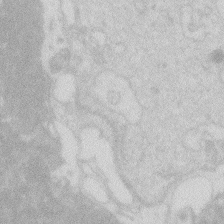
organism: Zebrafish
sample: Macrophage